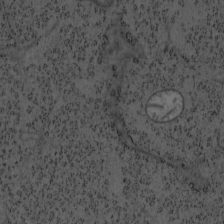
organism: Mouse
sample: OT-I killer T cells with ID8 ovarian cancer cells